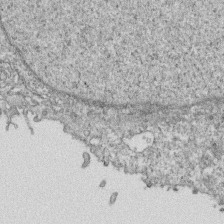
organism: Human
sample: HeLa cell HIV synapse